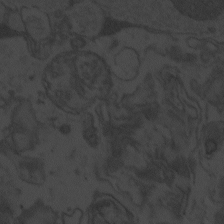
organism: Zebrafish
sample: Macrophage infected with Toxoplasma gondii